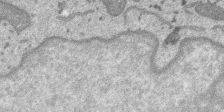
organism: Human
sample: Lung epithelial cells infected with SARS-CoV-2